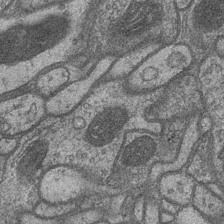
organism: Drosophila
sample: Optic medulla